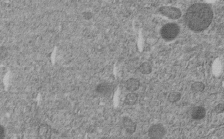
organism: C. elegans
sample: C. elegans embryo early stage